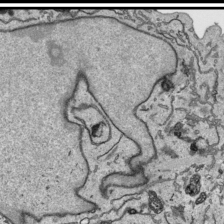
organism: Human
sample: Mitochondria in HCT116 cells